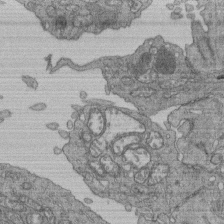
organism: Human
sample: Retinal organoid Rod and Cone cells